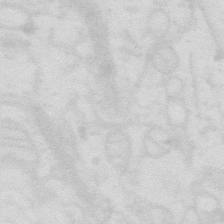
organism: Human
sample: HeLa cells